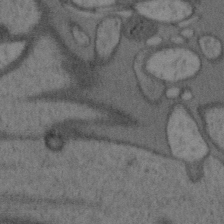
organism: Human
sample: HeLa cells